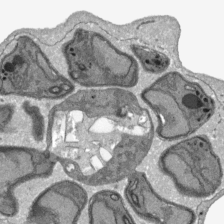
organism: Plasmodium falciparum